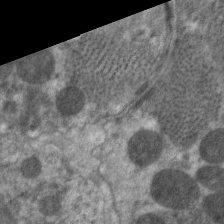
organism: C. elegans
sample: Pharynx